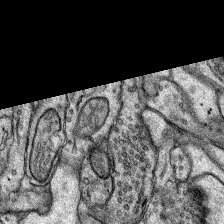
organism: Rat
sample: Hippocampus